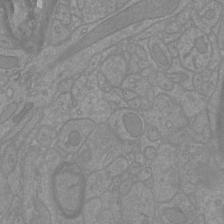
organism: Mouse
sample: Cortical neurons